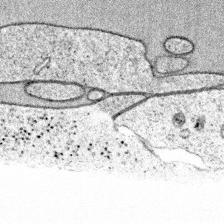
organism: Human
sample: HeLa cells